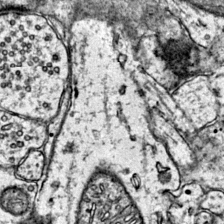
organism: Mouse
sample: Primary visual cortex